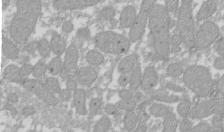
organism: Xenopus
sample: Cilia; centrioles in frog embryo cells